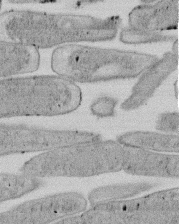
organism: E. coli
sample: Bacterial nucleoid